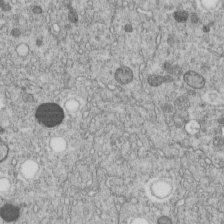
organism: C. elegans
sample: C. elegans embryo early stage